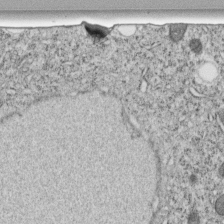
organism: C. elegans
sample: C. elegans embryo early stage